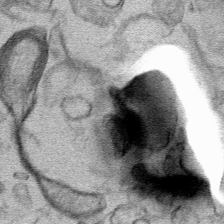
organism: Mouse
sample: Mouse hepatocytes